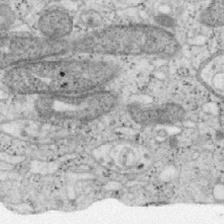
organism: Mouse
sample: OT-I killer T cells with ID8 ovarian cancer cells